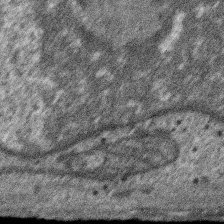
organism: Human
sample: Lung epithelial cells infected with SARS-CoV-2